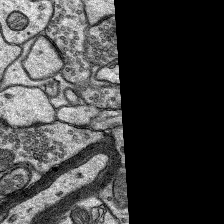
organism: Rat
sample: Hippocampus